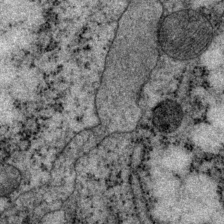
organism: P. pacificus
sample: Pharynx